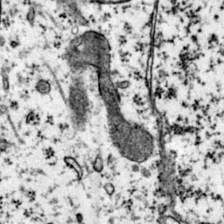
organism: Mouse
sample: Primary visual cortex